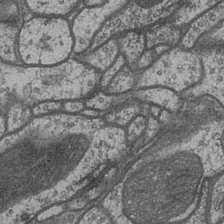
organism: Drosophila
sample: Optic medulla